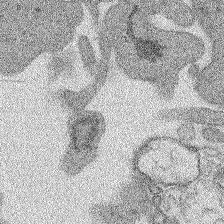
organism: Human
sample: HeLa cells